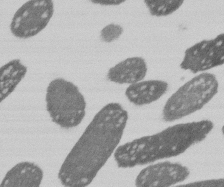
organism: E. coli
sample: Bacterial nucleoid